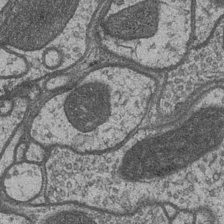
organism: Drosophila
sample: Optic medulla